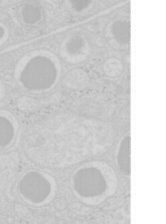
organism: Mouse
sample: Pancreas